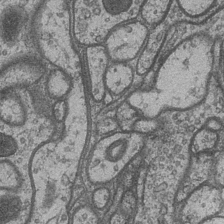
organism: Drosophila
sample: Optic medulla